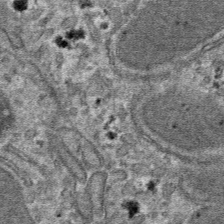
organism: Mouse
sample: Mouse hepatocytes